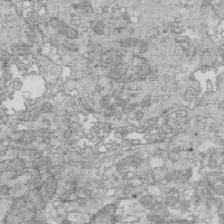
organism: Mouse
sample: Multiciliated cells